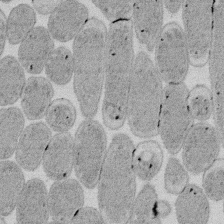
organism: E. coli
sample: Bacterial nucleoid